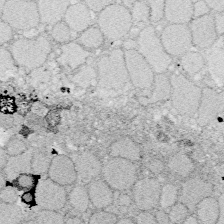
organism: Zebrafish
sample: Whole-Brain